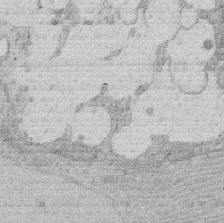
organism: Rat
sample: Salivary granule